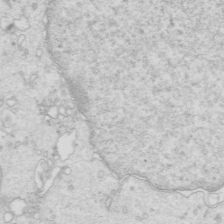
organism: Mouse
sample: Multiciliated cells